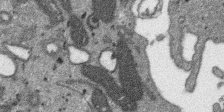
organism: Human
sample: Lung epithelial cells infected with SARS-CoV-2